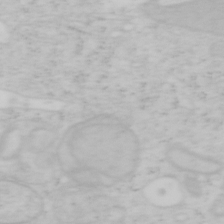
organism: Mouse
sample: OT-I killer T cells with ID8 ovarian cancer cells